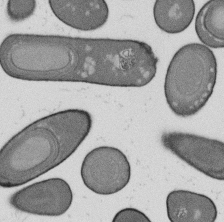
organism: B. subtilis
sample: Bacterial spore